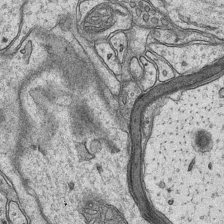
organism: Mouse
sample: CA1 Hippocampus